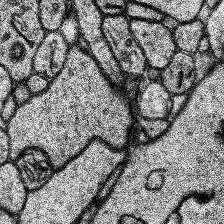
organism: Human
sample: Temporal Lobe